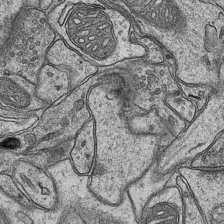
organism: Mouse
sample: CA1 Hippocampus